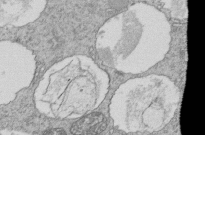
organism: Tetrahymena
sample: Cilia in tetrahymena